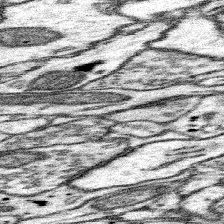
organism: Mouse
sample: Somatosensory cortex neuropil